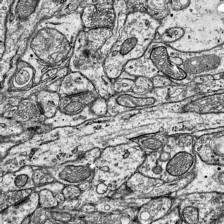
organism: Mouse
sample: Visual Cortex